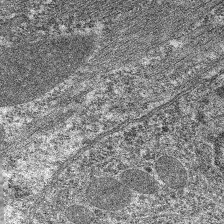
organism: C. elegans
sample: Pharynx